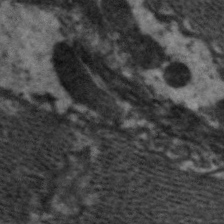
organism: C. elegans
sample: Pharynx